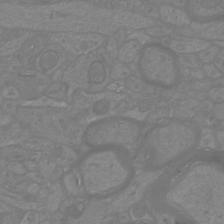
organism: Mouse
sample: Cortical neurons